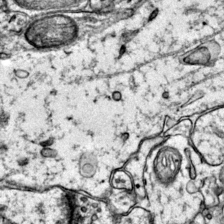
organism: Mouse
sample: Primary visual cortex